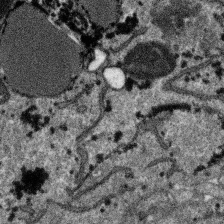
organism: Human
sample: Lung epithelial cells infected with SARS-CoV-2